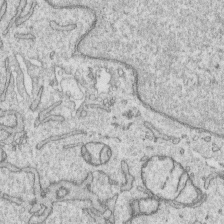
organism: Human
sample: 1205lu cells